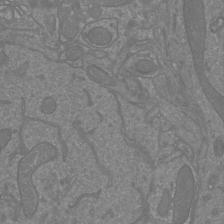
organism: Mouse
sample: Cortical neurons